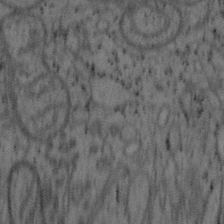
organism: Human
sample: HeLa cells